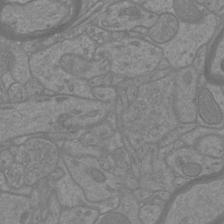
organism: Mouse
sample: Cortical neurons